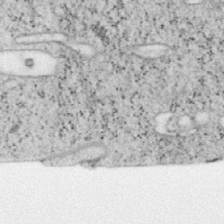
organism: Mouse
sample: OT-I killer T cells with ID8 ovarian cancer cells